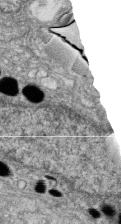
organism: Zebrafish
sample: Cilia; retinal pigment epithelium